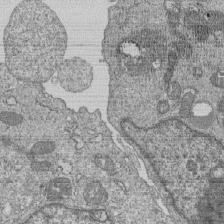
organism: Human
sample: MDA-MB-231 cells